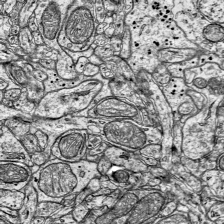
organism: Mouse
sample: Visual Cortex